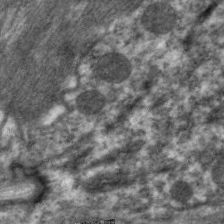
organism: C. elegans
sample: Pharynx